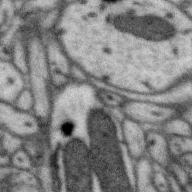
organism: Zebra finch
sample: Brain